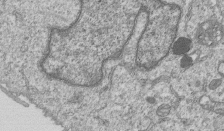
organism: Human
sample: MDA-MB-231 cells